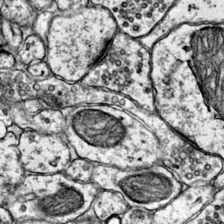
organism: Mouse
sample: Primary visual cortex